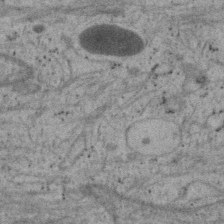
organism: Human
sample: HeLa cells